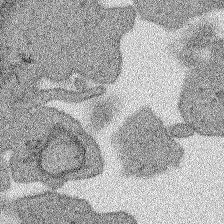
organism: Human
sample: HeLa cells